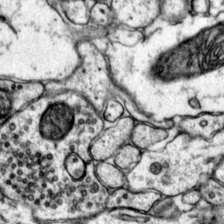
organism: Mouse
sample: Primary visual cortex